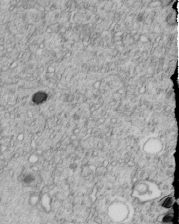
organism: C. elegans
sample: C. elegans embryo early stage